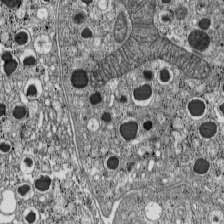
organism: C57BL Mouse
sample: Pancreatic islet